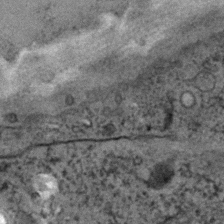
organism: C. elegans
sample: C. elegans embryo